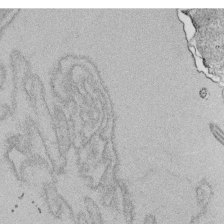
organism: Tetrahymena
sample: Cilia in tetrahymena